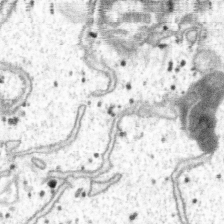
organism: Human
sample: HeLa cells